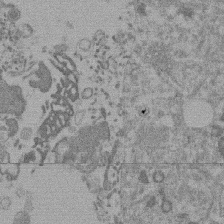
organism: Mouse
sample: Dividing mouse embryo 1 cell stage